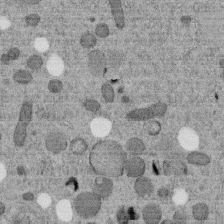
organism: C. elegans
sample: C. elegans embryo early stage